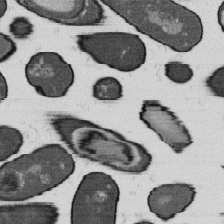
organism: B. subtilis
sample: Bacterial spore